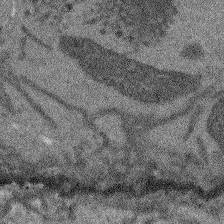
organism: Arabidopsis thaliana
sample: Root tip